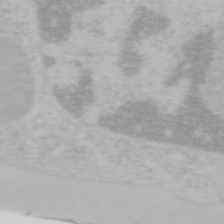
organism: Mouse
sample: OT-I killer T cells with ID8 ovarian cancer cells